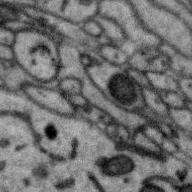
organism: Zebra finch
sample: Brain